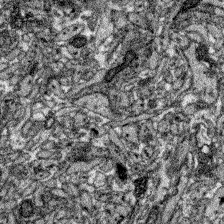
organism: Zebrafish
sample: Larval olfactory bulb